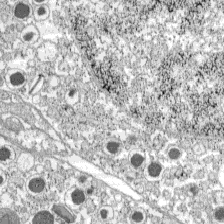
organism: C57BL Mouse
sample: Pancreatic islet